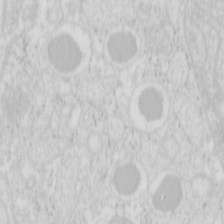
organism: Mouse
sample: Pancreas